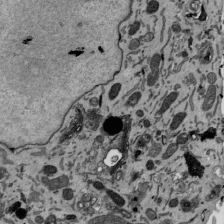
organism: Mouse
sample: ED-1 cell nuclei; centrioles